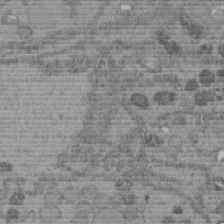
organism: C. elegans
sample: C. elegans embryo early stage